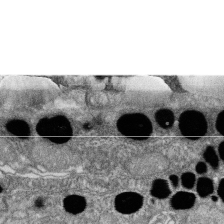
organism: Zebrafish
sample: Cilia; retinal pigment epithelium